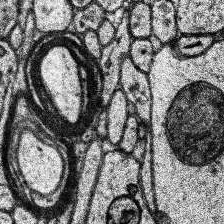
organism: Human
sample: Temporal Lobe